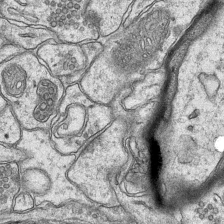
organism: Mouse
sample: CA1 Hippocampus